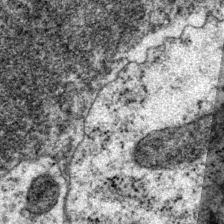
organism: P. pacificus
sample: Pharynx